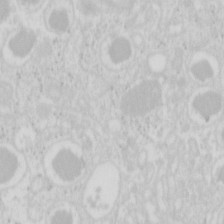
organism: Mouse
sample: Pancreas